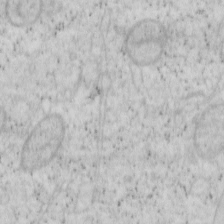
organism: Human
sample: HeLa cells